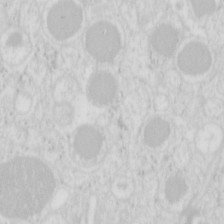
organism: Mouse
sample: Pancreas